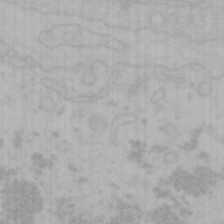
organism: Mouse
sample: Choroid plexus